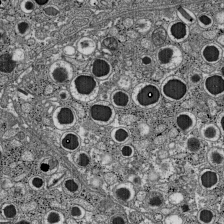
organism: C57BL Mouse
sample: Pancreatic islet